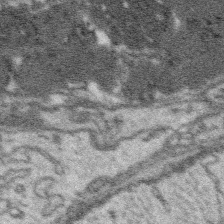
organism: Platynereis dumerilii